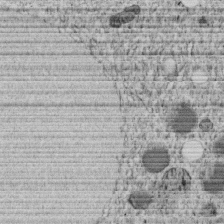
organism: C. elegans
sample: C. elegans embryo early stage